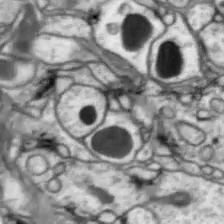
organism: Drosophila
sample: Optic lobe